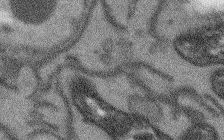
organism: Arabidopsis thaliana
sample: Root tip